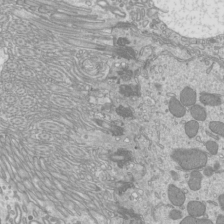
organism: Mouse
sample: Cilia; mouse epididymis